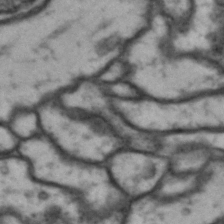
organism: Drosophila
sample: Brain